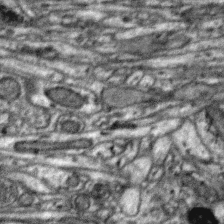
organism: Zebra finch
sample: Brain